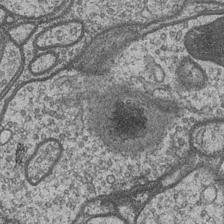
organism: Drosophila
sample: Optic medulla